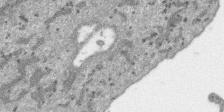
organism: Human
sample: Lung epithelial cells infected with SARS-CoV-2